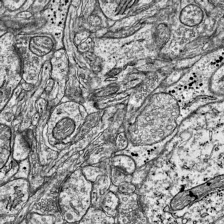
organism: Mouse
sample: Visual Cortex